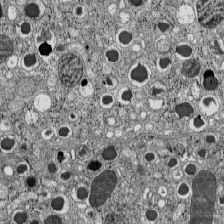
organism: C57BL Mouse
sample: Pancreatic islet